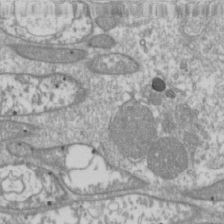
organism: Drosophila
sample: Cell division; meiosis; drosophila spermatocytes